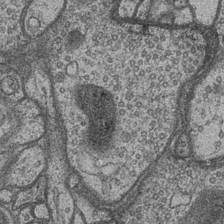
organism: Drosophila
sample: Optic medulla